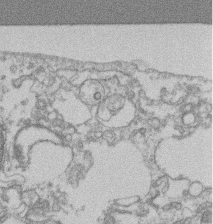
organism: Mouse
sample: T cell stromal cell synapse